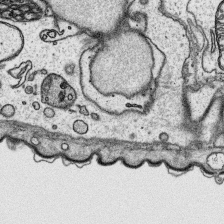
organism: Platynereis dumerilii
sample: Parapodia